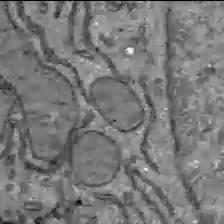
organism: C57BL Mouse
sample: Liver